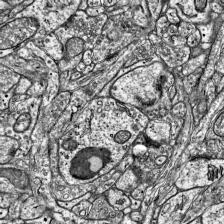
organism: Mouse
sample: Visual Cortex